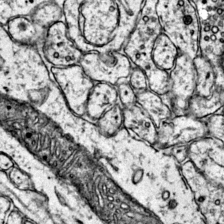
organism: Mouse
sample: Primary visual cortex